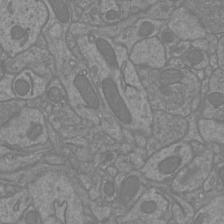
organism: Mouse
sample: Cortical neurons